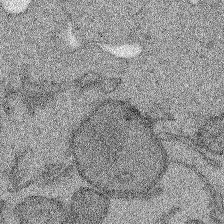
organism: Human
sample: HeLa cells